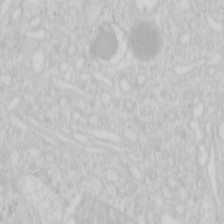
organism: Mouse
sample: Pancreas